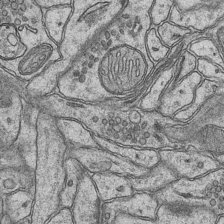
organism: Mouse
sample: CA1 Hippocampus